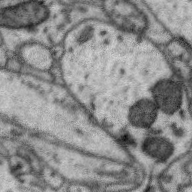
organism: Zebra finch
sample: Brain